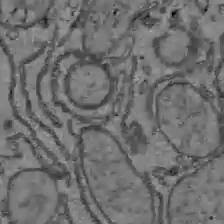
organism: C57BL Mouse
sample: Liver